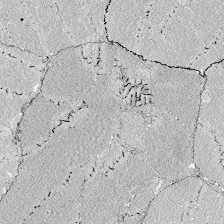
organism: Zebrafish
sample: Whole-Brain